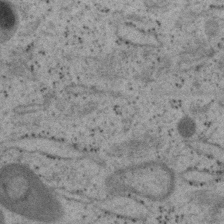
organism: Human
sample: HeLa cells